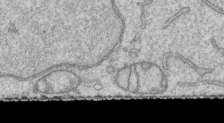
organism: Human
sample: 1205lu cells